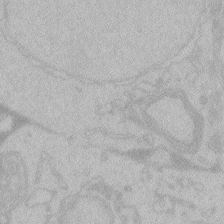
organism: Zebrafish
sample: Macrophage infected with Toxoplasma gondii